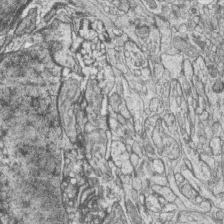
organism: Zebrafish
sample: synaptic ribbons in rod cells and cone cells